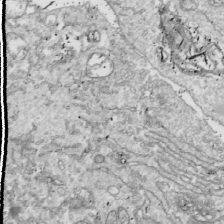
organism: Drosophila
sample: Cell division; meiosis; drosophila spermatocytes